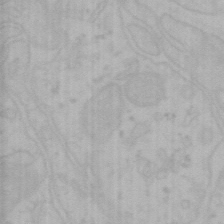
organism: Mouse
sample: Choroid plexus